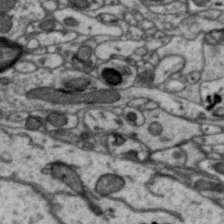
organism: Zebra finch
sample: Brain